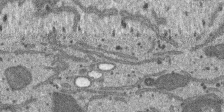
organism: Human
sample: Lung epithelial cells infected with SARS-CoV-2